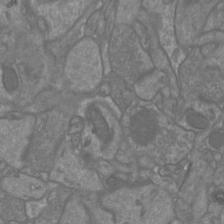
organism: Mouse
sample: Cortical neurons